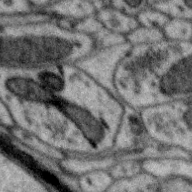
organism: Zebra finch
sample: Brain